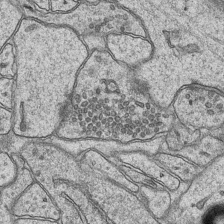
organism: Mouse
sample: CA1 Hippocampus